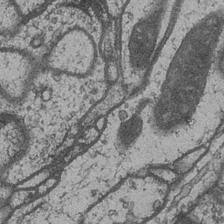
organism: Drosophila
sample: Optic medulla